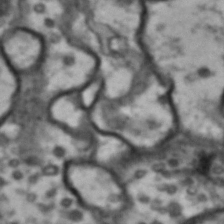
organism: Drosophila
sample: Brain